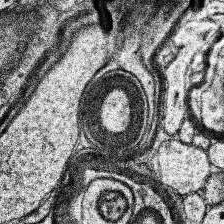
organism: Human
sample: Temporal Lobe